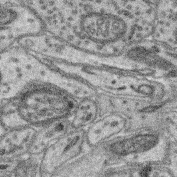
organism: Mouse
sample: Retina